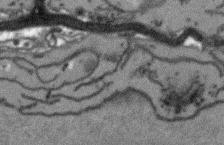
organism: Arabidopsis thaliana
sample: Root tip